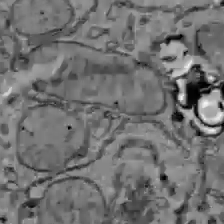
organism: C57BL Mouse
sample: Liver